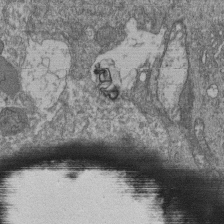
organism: Human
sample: Retinal organoid Rod and Cone cells